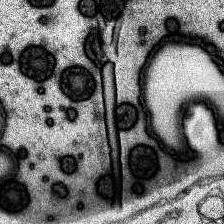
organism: Human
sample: Temporal Lobe